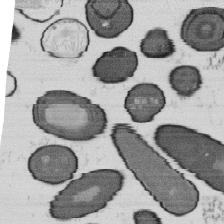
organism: B. subtilis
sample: Bacterial spore